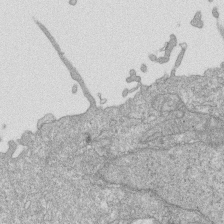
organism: Human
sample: HeLa cell HIV synapse